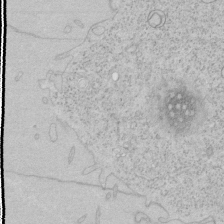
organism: Human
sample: Mitochondria in HCT116 cells